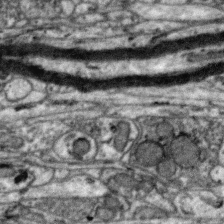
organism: Zebra finch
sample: Brain